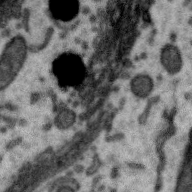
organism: Zebra finch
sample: Brain